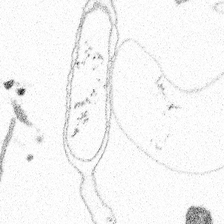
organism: Spongilla lacustris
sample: Multiple